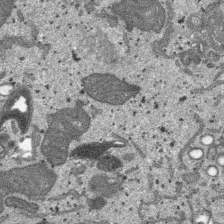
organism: Human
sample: Lung epithelial cells infected with SARS-CoV-2